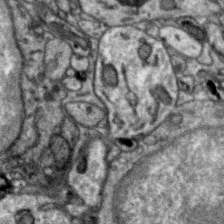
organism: Zebra finch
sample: Brain